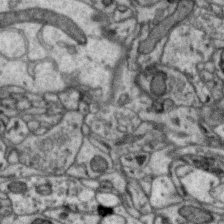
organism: Zebra finch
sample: Brain